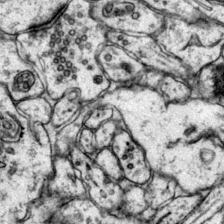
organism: Mouse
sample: Primary visual cortex